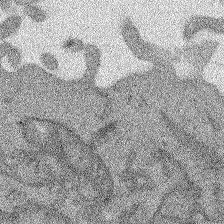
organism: Human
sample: HeLa cells